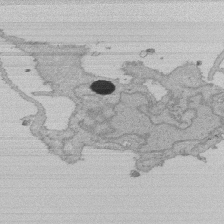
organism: Human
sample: Activated Jurkat CD4+ T cells